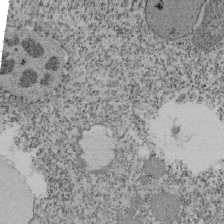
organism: Tetrahymena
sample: Cilia in tetrahymena